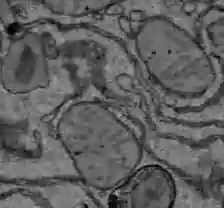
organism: C57BL Mouse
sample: Liver